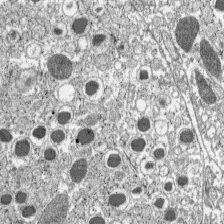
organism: C57BL Mouse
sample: Pancreatic islet